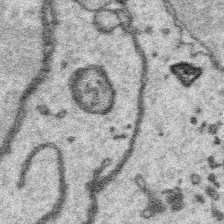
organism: Platynereis dumerilii